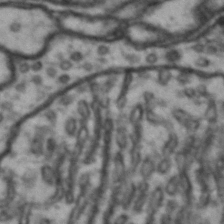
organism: Drosophila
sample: Brain